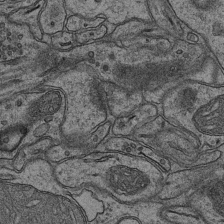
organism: Mouse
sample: CA1 Hippocampus